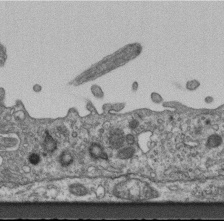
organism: Mouse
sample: Centriole in ependymal cells